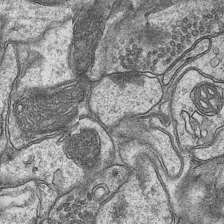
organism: Mouse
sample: CA1 Hippocampus